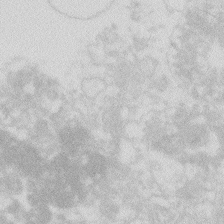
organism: Zebrafish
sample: Macrophage